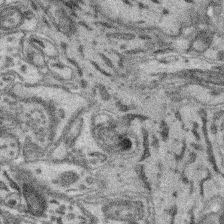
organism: Mouse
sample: Retina